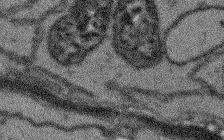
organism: Arabidopsis thaliana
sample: Root tip